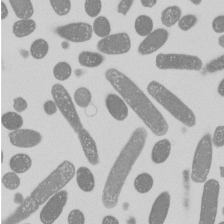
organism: E. coli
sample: Bacterial nucleoid